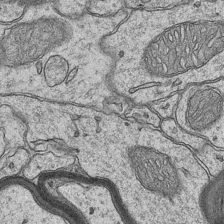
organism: Mouse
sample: CA1 Hippocampus